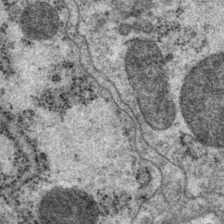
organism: P. pacificus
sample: Pharynx